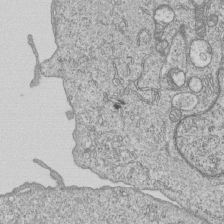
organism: Human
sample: MDA-MB-231 cells